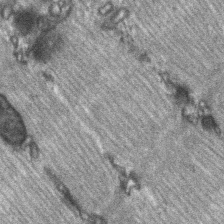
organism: C57BL Mouse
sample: Soleus